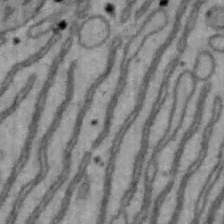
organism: Mouse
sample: Liver